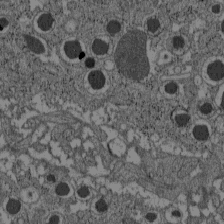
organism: C57BL Mouse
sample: Pancreatic islet